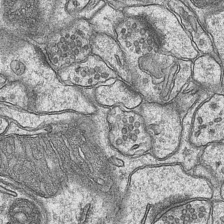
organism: Mouse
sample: CA1 Hippocampus